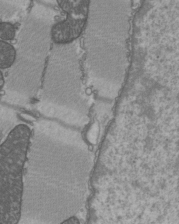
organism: C57BL Mouse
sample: Heart